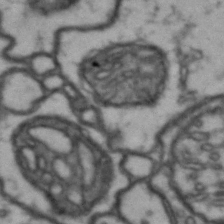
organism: Drosophila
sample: Brain